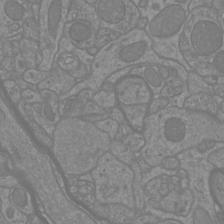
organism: Mouse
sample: Cortical neurons